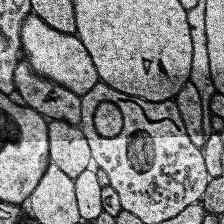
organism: Human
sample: Temporal Lobe